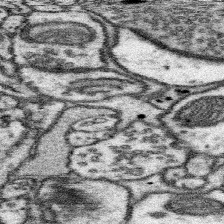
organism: Mouse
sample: Somatosensory cortex neuropil